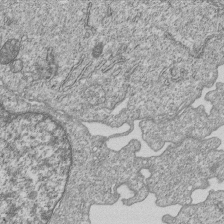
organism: Human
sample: MDA-MB-231 cells